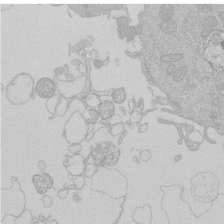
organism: Human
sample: Macrophage cells